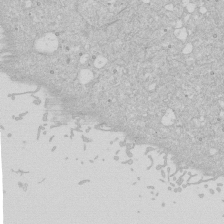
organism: Human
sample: Caco-2 cells